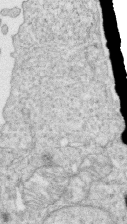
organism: Human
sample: HeLa cell HIV synapse